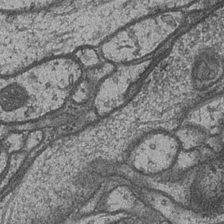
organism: Drosophila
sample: Optic medulla